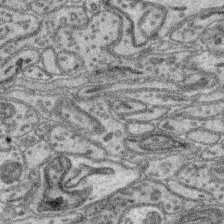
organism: Mouse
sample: Retina